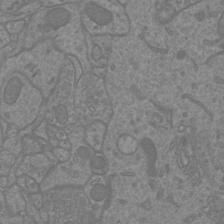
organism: Mouse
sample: Cortical neurons